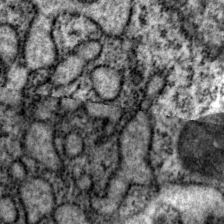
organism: P. pacificus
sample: Pharynx